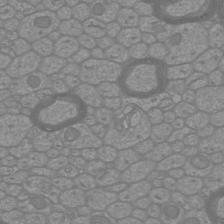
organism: Mouse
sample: Cortical neurons